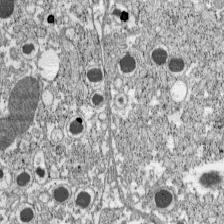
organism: C57BL Mouse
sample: Pancreatic islet